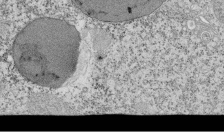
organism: Tetrahymena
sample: Cilia in tetrahymena